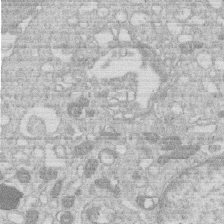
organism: Human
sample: Macrophage cells